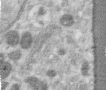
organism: Human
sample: Centriole in RPE cells